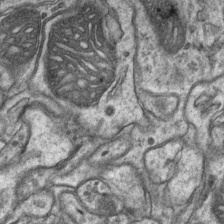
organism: Mouse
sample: CA1 Hippocampus